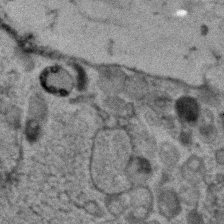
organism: Human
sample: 1205lu cells